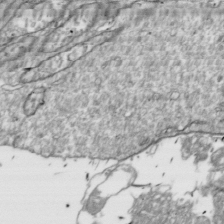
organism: Drosophila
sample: Cell division; meiosis; drosophila spermatocytes